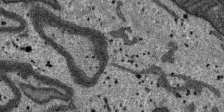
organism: Human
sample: Lung epithelial cells, uninfected (mock) control